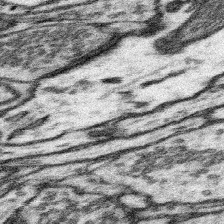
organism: Mouse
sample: Somatosensory cortex neuropil